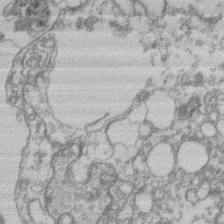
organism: Mouse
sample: T cell stromal cell synapse